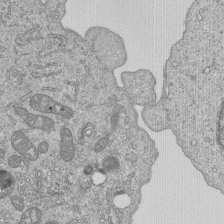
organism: Human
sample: MDA-MB-231 cells